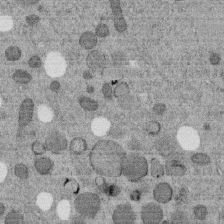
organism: C. elegans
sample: C. elegans embryo early stage